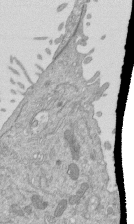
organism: Mouse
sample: ED-1 cell nuclei; centrioles